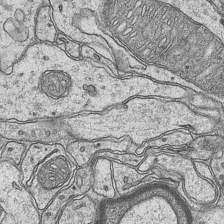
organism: Mouse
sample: CA1 Hippocampus